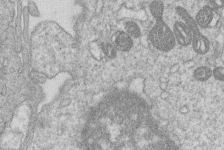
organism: Human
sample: Macrophage cells